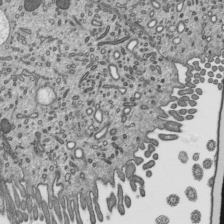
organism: Mouse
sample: Mouse epididymis efferent ductule cilia